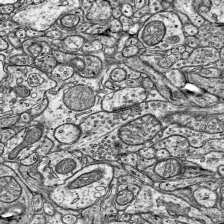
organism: Mouse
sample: Visual Cortex